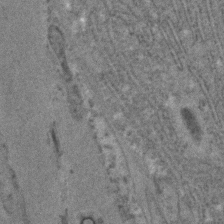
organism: C. elegans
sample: C. elegans embryo